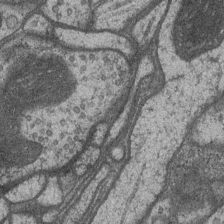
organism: Drosophila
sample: Optic medulla